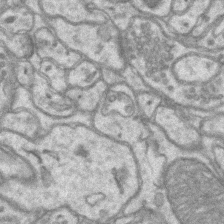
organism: Mouse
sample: CA1 Hippocampus